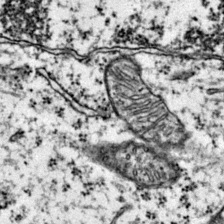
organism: Mouse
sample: Primary visual cortex